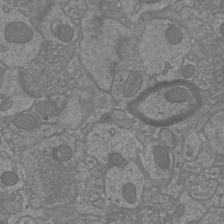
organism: Mouse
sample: Cortical neurons